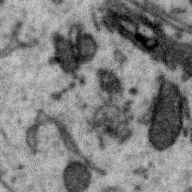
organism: Zebra finch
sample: Brain